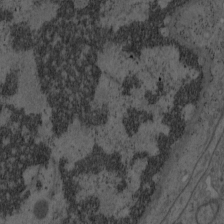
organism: Mouse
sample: OT-I killer T cells with ID8 ovarian cancer cells